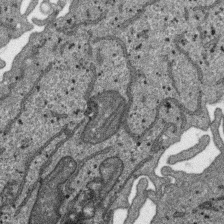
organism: Human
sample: Lung epithelial cells infected with SARS-CoV-2